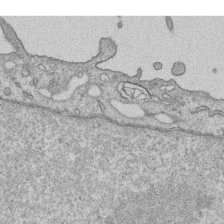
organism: Human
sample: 1205lu cells